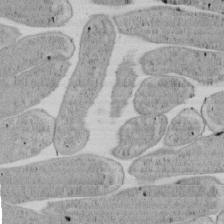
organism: E. coli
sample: Bacterial nucleoid